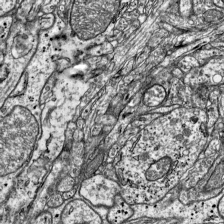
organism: Mouse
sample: Visual Cortex